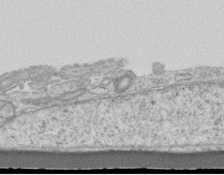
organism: Mouse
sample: Centriole in ependymal cells